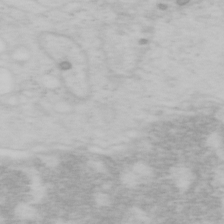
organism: Mouse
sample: OT-I killer T cells with ID8 ovarian cancer cells